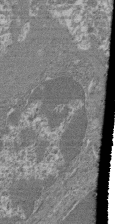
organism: Mouse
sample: Glomerulus